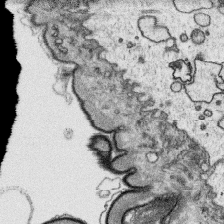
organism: Platynereis dumerilii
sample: Parapodia